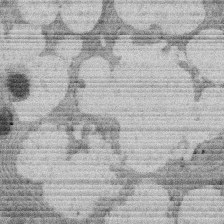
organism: Rat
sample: Salivary granule